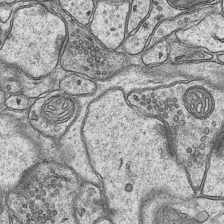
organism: Mouse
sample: CA1 Hippocampus